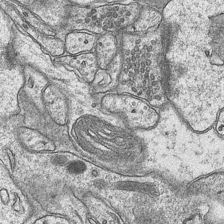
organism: Mouse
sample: CA1 Hippocampus